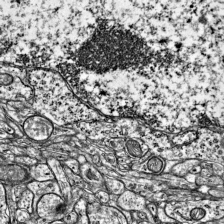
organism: Mouse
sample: Visual Cortex